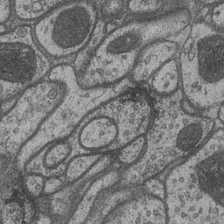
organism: Drosophila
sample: Optic medulla